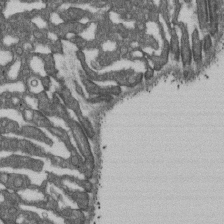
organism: Drosophila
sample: Nephrocyte